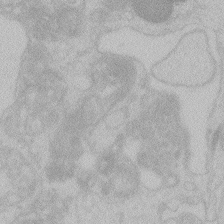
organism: Zebrafish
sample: Macrophage infected with Toxoplasma gondii